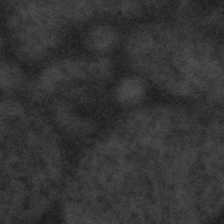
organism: Tuwongella immobilis